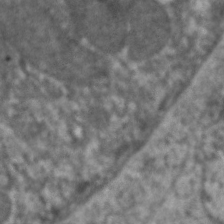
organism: C. elegans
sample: Pharynx